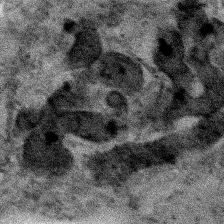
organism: Human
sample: Mitochondria in HCT116 cells